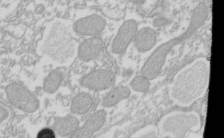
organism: Xenopus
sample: Cilia; centrioles in frog embryo cells